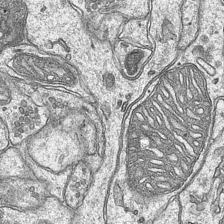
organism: Mouse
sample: CA1 Hippocampus